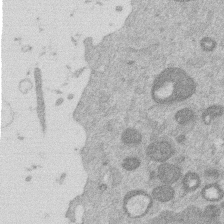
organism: Mouse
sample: Dividing mouse embryo 1 cell stage